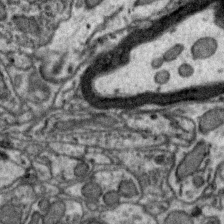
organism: Zebra finch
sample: Brain